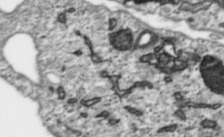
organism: Toxoplasma gondii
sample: Parasites in a vacuole inside a host cell